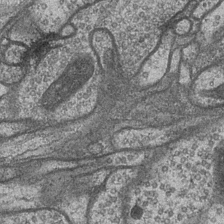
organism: Drosophila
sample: Optic medulla